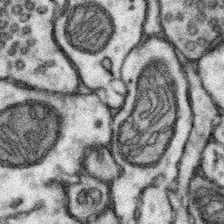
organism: Mouse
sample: Somatosensory cortex neuropil